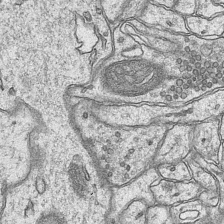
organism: Mouse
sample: CA1 Hippocampus